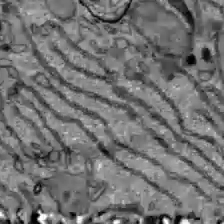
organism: C57BL Mouse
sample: Liver